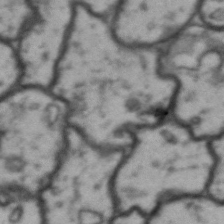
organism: Drosophila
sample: Brain